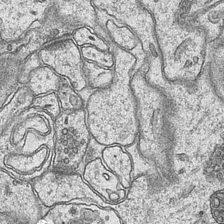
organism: Mouse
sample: CA1 Hippocampus